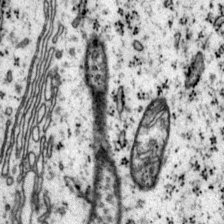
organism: Mouse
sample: Primary visual cortex